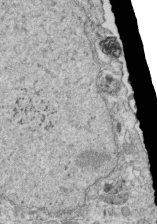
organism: Human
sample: HeLa cell HIV synapse